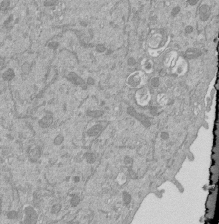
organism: Mouse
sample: ED-1 cell nuclei; centrioles